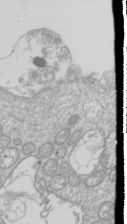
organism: Drosophila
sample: Cell division; meiosis; drosophila spermatocytes